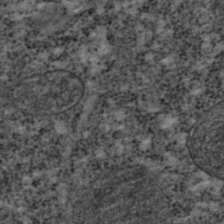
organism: C. elegans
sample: C. elegans embryo